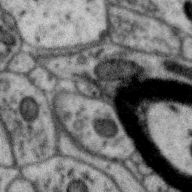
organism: Zebra finch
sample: Brain